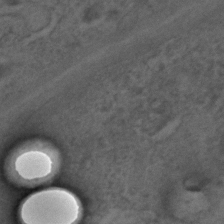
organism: C. elegans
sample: C. elegans embryo